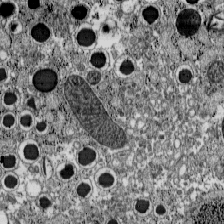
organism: C57BL Mouse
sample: Pancreatic islet